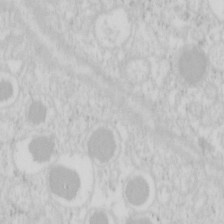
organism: Mouse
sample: Pancreas